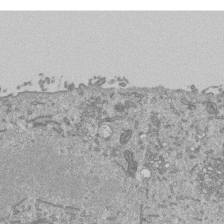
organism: Mouse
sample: ED-1 cell nuclei; centrioles